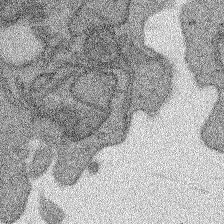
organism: Human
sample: HeLa cells